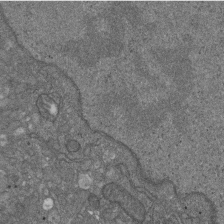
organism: Drosophila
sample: Nephrocyte